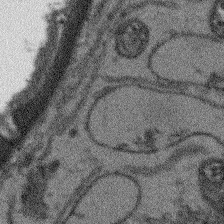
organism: Arabidopsis thaliana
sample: Root tip